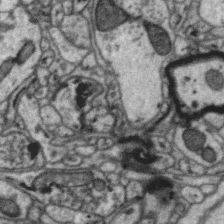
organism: Zebra finch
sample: Brain